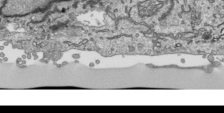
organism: Human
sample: Mitochondria in HCT116 cells